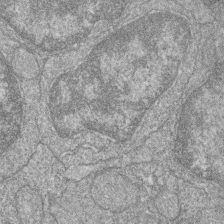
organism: Zebrafish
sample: Cilia; retinal pigment epithelium